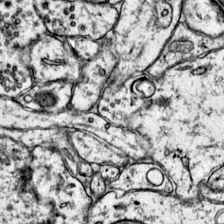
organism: Mouse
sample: Primary visual cortex